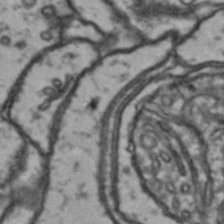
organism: Drosophila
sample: Brain